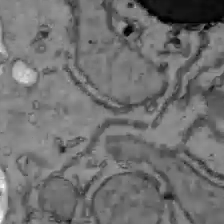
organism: C57BL Mouse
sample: Liver